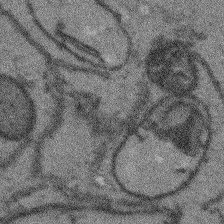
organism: Arabidopsis thaliana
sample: Root tip